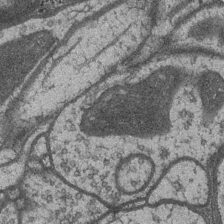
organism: Drosophila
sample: Optic medulla